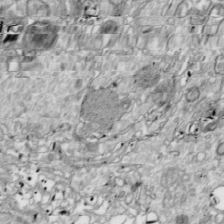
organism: Drosophila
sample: Cell division; meiosis; drosophila spermatocytes